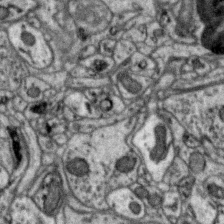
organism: Zebra finch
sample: Brain